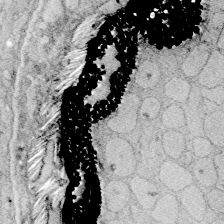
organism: Zebrafish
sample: Whole-Brain